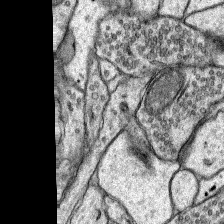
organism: Rat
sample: Hippocampus